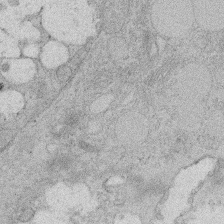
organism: Rat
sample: Salivary granule